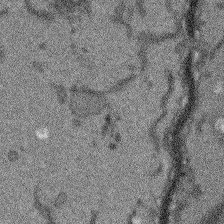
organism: Arabidopsis thaliana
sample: Root tip